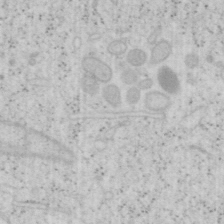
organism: Human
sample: HeLa cells